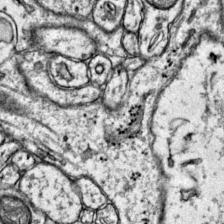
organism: Mouse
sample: Primary visual cortex